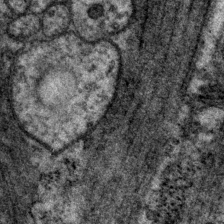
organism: P. pacificus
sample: Pharynx